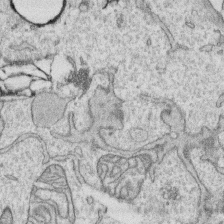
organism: Human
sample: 1205lu cells